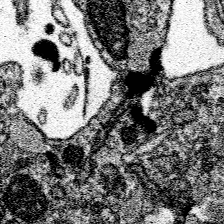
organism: Spongilla lacustris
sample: Neuroid cell